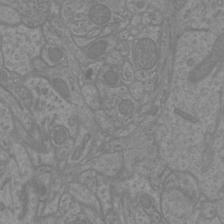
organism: Mouse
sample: Cortical neurons